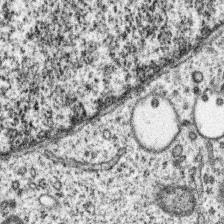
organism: Human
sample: HeLa cells